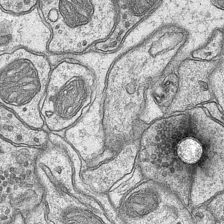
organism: Mouse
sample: CA1 Hippocampus